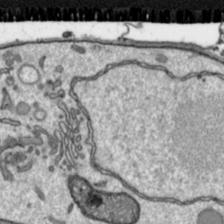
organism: Toxoplasma gondii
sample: Parasites in a vacuole inside a host cell